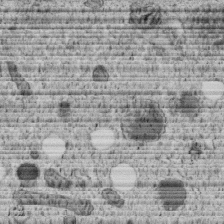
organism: C. elegans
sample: C. elegans embryo early stage